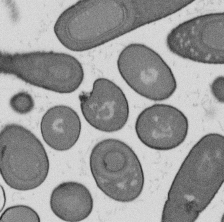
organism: B. subtilis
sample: Bacterial spore